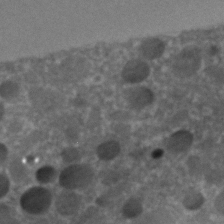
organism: C. elegans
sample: C. elegans embryo